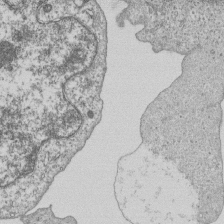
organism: Human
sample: MDA-MB-231 cells